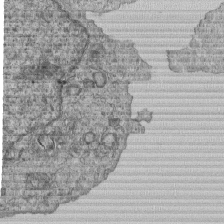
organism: Human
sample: MDA-MB-231 cells